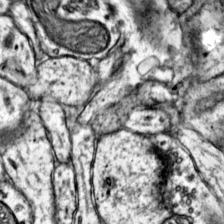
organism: Mouse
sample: Primary visual cortex